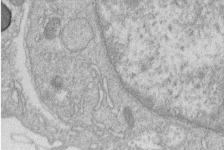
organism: Human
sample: Macrophage cells